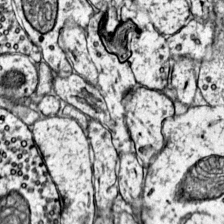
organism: Mouse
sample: Primary visual cortex